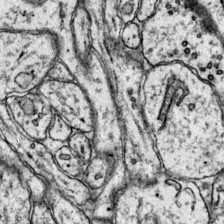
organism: Mouse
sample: Primary visual cortex